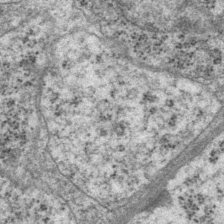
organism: P. pacificus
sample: Pharynx